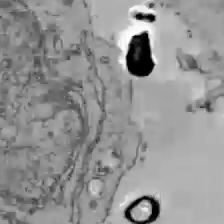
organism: C57BL Mouse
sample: Liver